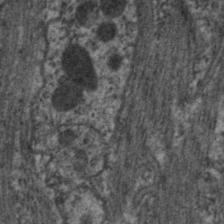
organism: C. elegans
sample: Pharynx